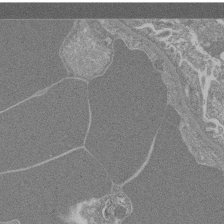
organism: Mouse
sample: Glomerulus